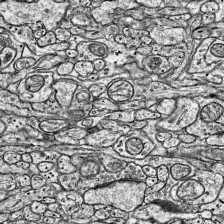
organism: Mouse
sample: Visual Cortex